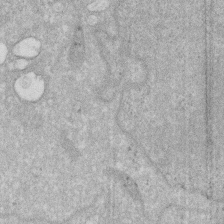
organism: Human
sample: HIV infected U937 cells